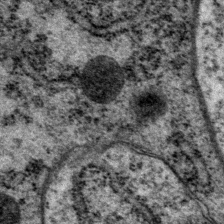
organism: P. pacificus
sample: Pharynx